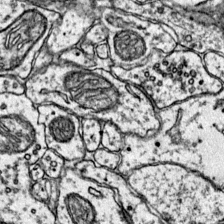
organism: Mouse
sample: Primary visual cortex